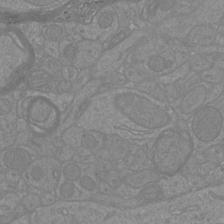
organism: Mouse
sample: Cortical neurons